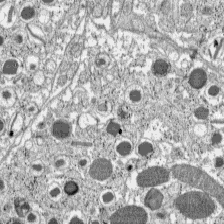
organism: C57BL Mouse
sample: Pancreatic islet